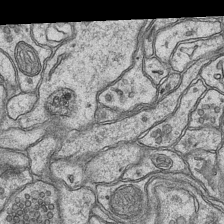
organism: Mouse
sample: CA1 Hippocampus